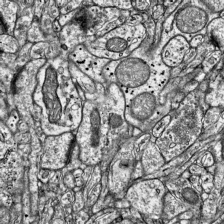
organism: Mouse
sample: Visual Cortex